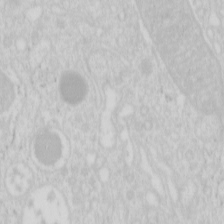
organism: Mouse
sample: Pancreas